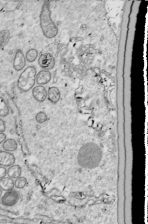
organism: Drosophila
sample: Cell division; meiosis; drosophila spermatocytes